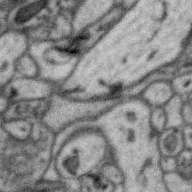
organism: Zebra finch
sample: Brain